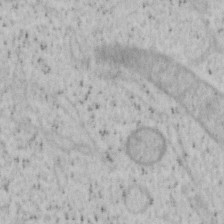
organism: Human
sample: HeLa cells